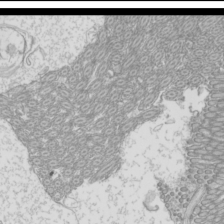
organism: Mouse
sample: Cilia; mouse epididymis